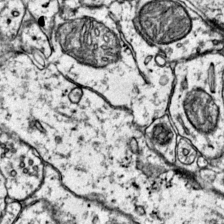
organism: Mouse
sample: Primary visual cortex